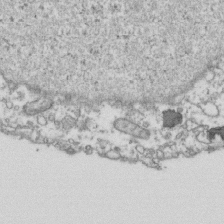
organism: Human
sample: Activated Jurkat CD4+ T cells